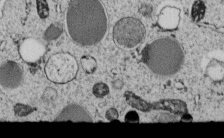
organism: C. elegans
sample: C. elegans embryo early stage